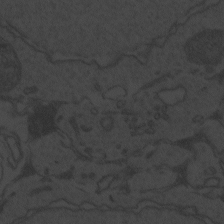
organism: Zebrafish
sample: Macrophage infected with Toxoplasma gondii